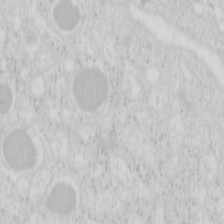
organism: Mouse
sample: Pancreas